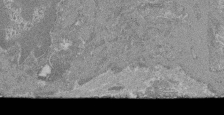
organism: Mouse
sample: Glomerulus